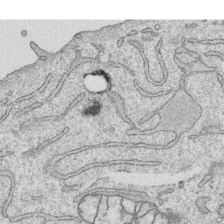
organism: Human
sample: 1205lu cells